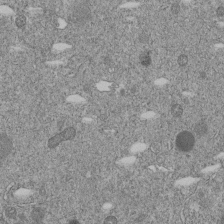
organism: C. elegans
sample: C. elegans embryo early stage